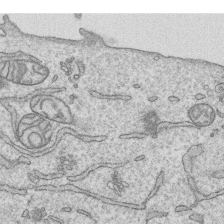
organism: Human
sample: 1205lu cells